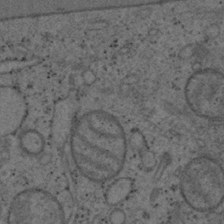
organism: Human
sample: HeLa cells